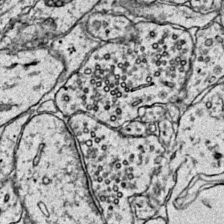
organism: Mouse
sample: Primary visual cortex